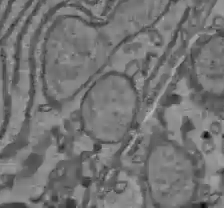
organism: C57BL Mouse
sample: Liver